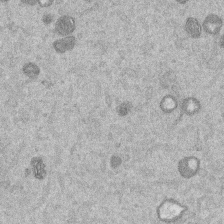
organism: Mouse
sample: Dividing mouse embryo 1 cell stage